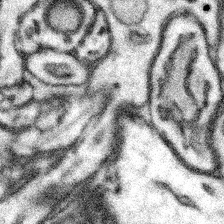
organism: Mouse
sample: Somatosensory cortex neuropil